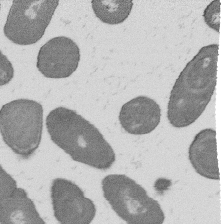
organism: B. subtilis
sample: Bacterial spore